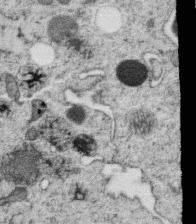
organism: C. elegans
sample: C. elegans oocyte; sperm cells